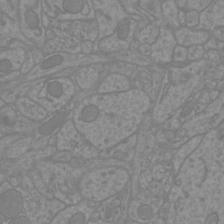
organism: Mouse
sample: Cortical neurons